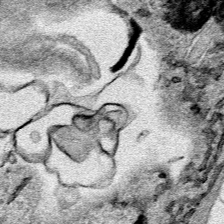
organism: Human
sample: Mitochondria in HCT116 cells